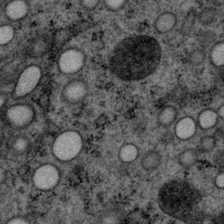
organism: P. pacificus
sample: Pharynx